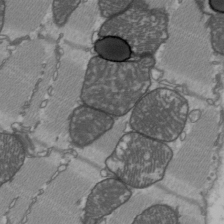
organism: C57BL Mouse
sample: Heart